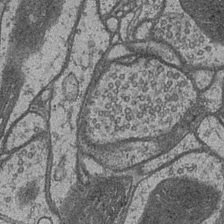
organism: Drosophila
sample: Optic medulla